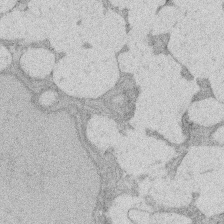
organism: Rat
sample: Salivary granule